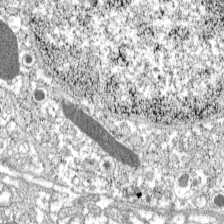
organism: C57BL Mouse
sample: Pancreatic islet